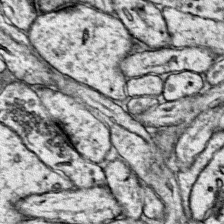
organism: Mouse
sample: Primary visual cortex